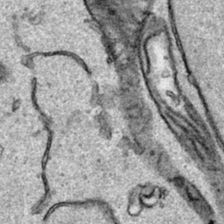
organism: Human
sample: Mitochondria in HCT116 cells